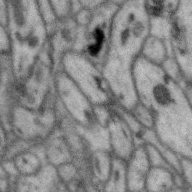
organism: Zebra finch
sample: Brain